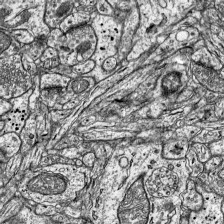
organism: Mouse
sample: Visual Cortex